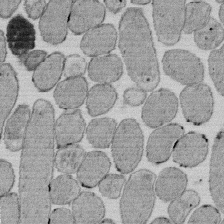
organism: E. coli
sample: Bacterial nucleoid